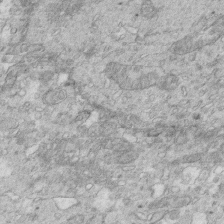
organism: Mouse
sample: Multiciliated cells